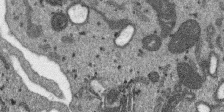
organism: Human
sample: Lung epithelial cells infected with SARS-CoV-2